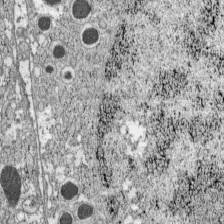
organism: C57BL Mouse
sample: Pancreatic islet